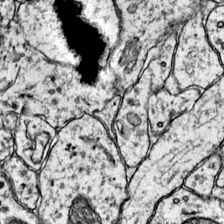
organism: Mouse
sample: Primary visual cortex